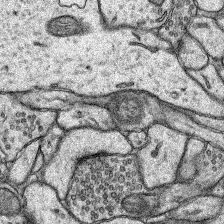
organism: Rat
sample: Hippocampus